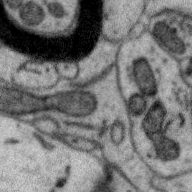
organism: Zebra finch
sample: Brain